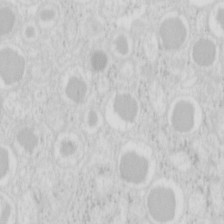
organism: Mouse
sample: Pancreas